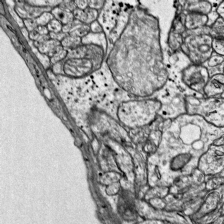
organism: Mouse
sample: Visual Cortex